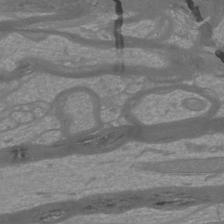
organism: Mouse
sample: Cortical neurons